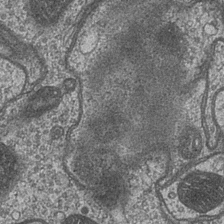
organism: Drosophila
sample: Optic medulla